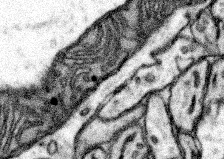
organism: Mouse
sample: Somatosensory cortex neuropil